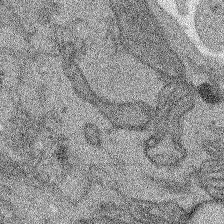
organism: Human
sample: HeLa cells